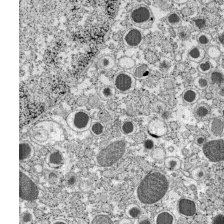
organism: C57BL Mouse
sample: Pancreatic islet